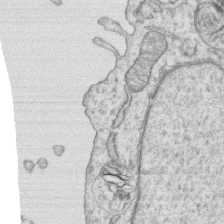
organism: Human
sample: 1205lu cells